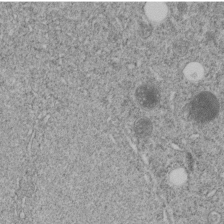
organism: C. elegans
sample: C. elegans embryo early stage